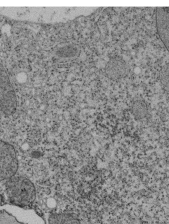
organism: Tetrahymena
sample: Cilia in tetrahymena